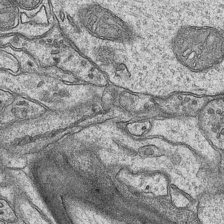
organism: Mouse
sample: CA1 Hippocampus